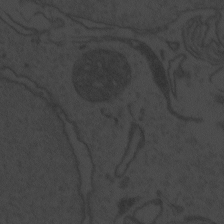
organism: Zebrafish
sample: Macrophage infected with Toxoplasma gondii